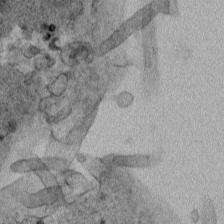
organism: Human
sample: Mitochondria in HCT116 cells